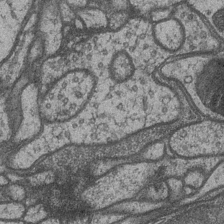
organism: Drosophila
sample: Optic medulla